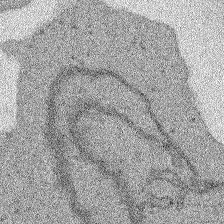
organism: Human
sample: HeLa cells